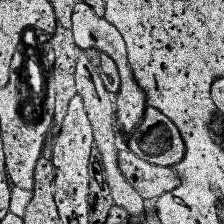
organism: Human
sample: Temporal Lobe